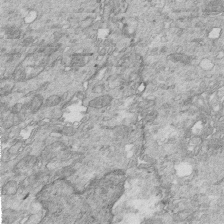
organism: Mouse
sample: Multiciliated cells